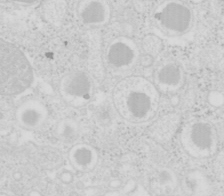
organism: Mouse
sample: Pancreas